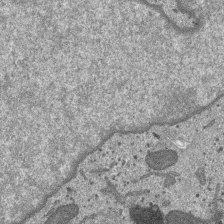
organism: Human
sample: Lung epithelial cells infected with SARS-CoV-2